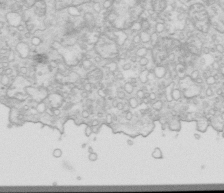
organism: Mouse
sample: Multiciliated cells